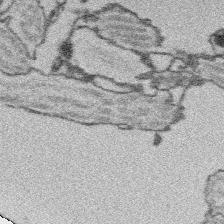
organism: Platynereis dumerilii